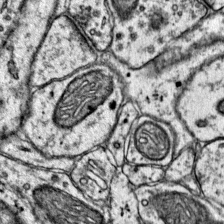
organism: Mouse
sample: Primary visual cortex